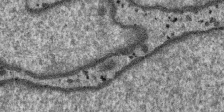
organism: Human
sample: Lung epithelial cells, uninfected (mock) control